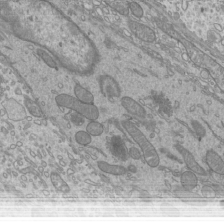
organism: Mouse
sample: Cilia; mouse epididymis